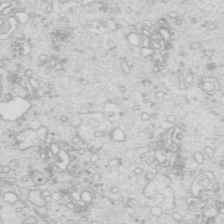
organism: Mouse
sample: Multiciliated cells